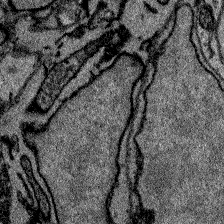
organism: Zebrafish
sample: Larval olfactory bulb